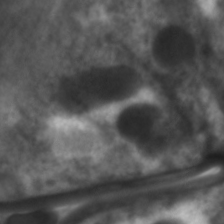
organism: C. elegans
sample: Pharynx